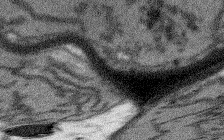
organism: Arabidopsis thaliana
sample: Root tip